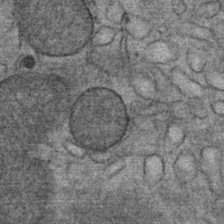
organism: Mouse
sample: Mouse Salivary gland